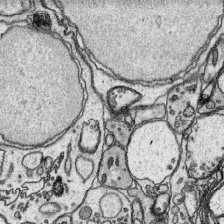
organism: Platynereis dumerilii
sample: Parapodia